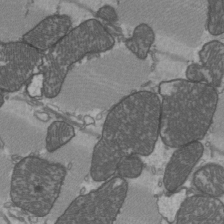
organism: C57BL Mouse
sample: Heart